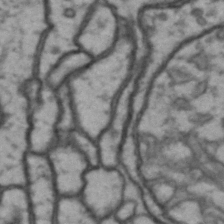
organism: Drosophila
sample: Brain